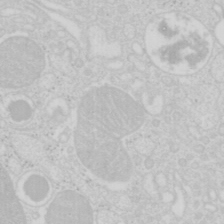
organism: Mouse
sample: Pancreas